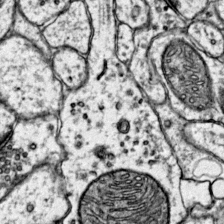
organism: Mouse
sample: Primary visual cortex